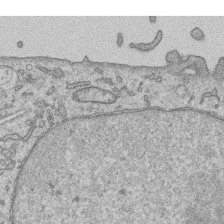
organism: Human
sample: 1205lu cells